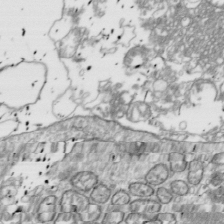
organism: Drosophila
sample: Cell division; meiosis; drosophila spermatocytes